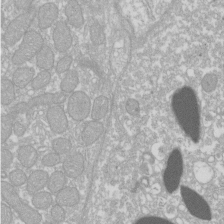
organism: Xenopus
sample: Cilia; centrioles in frog embryo cells